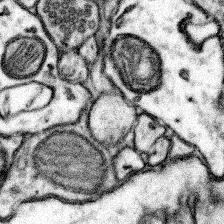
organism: Mouse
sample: Somatosensory cortex neuropil